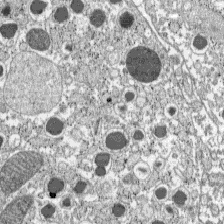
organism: C57BL Mouse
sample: Pancreatic islet